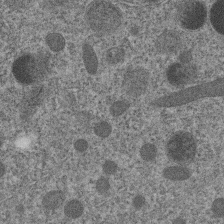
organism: C. elegans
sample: C. elegans embryo early stage